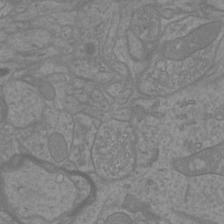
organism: Mouse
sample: Cortical neurons